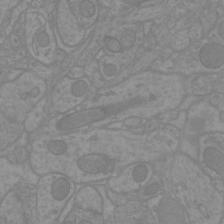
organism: Mouse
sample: Cortical neurons